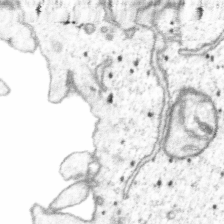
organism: Human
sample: HeLa cells